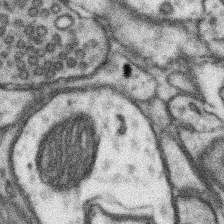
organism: Mouse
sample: Somatosensory cortex neuropil